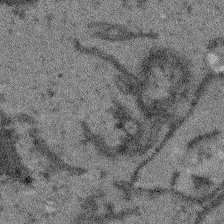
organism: Arabidopsis thaliana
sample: Root tip